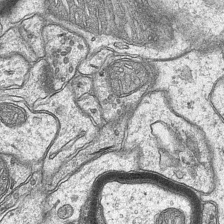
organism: Mouse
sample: CA1 Hippocampus